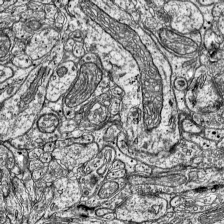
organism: Mouse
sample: Visual Cortex